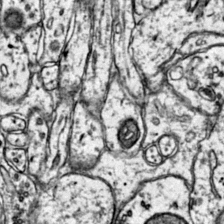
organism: Mouse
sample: Primary visual cortex